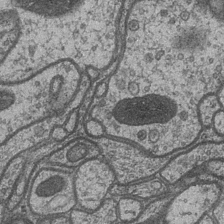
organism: Drosophila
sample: Optic medulla